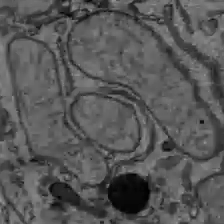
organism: C57BL Mouse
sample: Liver